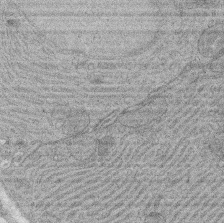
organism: Rat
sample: Salivary granule